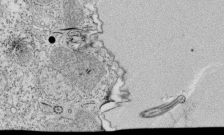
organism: Tetrahymena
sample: Cilia in tetrahymena